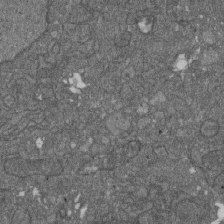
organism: Drosophila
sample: Nephrocyte